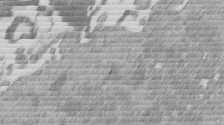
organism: Mouse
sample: Dividing mouse embryo 1 cell stage